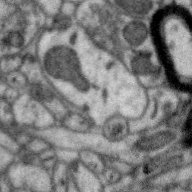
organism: Zebra finch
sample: Brain